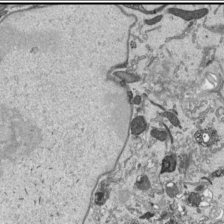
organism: Human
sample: Mitochondria in HCT116 cells